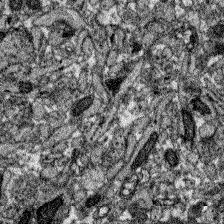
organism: Zebrafish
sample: Larval olfactory bulb